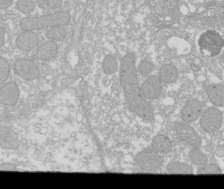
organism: Xenopus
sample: Cilia; centrioles in frog embryo cells